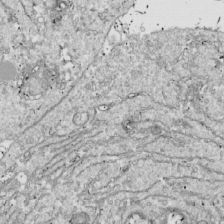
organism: Drosophila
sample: Cell division; meiosis; drosophila spermatocytes